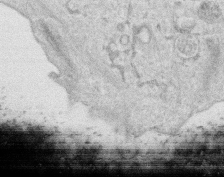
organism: Human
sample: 1205lu cells